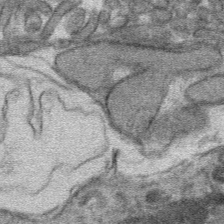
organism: Mouse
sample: Mouse hepatocytes